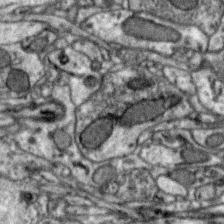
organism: Zebra finch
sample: Brain